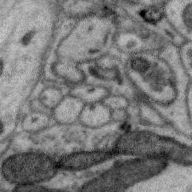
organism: Zebra finch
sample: Brain